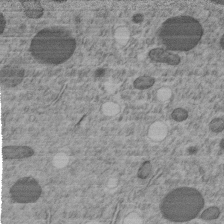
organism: C. elegans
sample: C. elegans embryo early stage